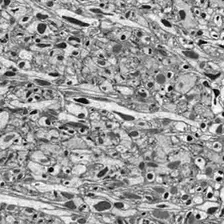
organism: Drosophila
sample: Optic lobe